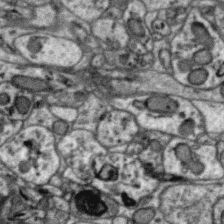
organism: Zebra finch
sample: Brain